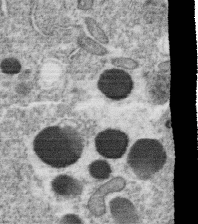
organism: C. elegans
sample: C. elegans oocyte; sperm cells